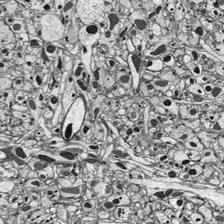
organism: Drosophila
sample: Optic lobe